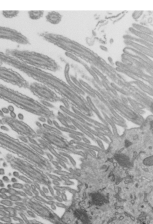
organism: Mouse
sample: Mouse epididymis efferent ductule cilia